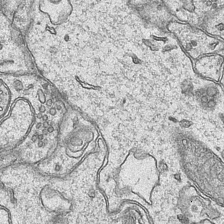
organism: Mouse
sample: CA1 Hippocampus